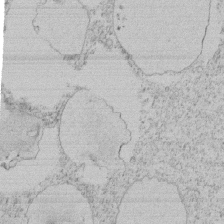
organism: Tetrahymena